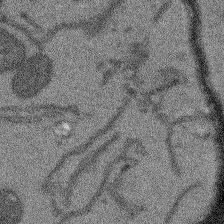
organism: Arabidopsis thaliana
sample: Root tip